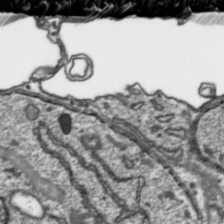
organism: Toxoplasma gondii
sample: Parasites in a vacuole inside a host cell